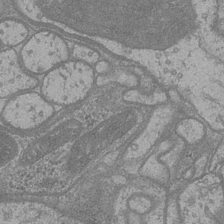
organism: Drosophila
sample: Optic medulla